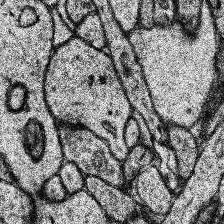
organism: Human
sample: Temporal Lobe